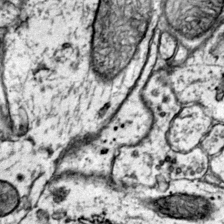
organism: Mouse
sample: Primary visual cortex